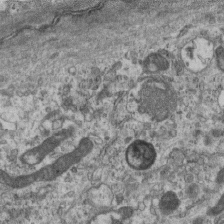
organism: Mouse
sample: Centriole in ependymal cells